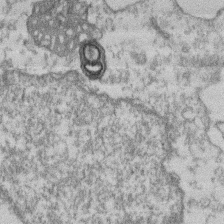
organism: Mouse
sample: T cell stromal cell synapse